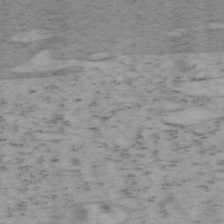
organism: Mouse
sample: OT-I killer T cells with ID8 ovarian cancer cells